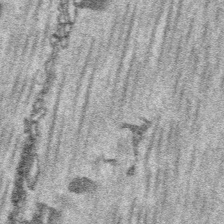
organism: Platynereis dumerilii